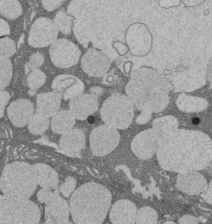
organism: Rat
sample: Salivary granule